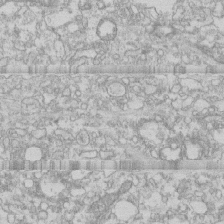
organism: Human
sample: CRL-1474